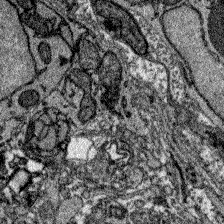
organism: Zebrafish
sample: Larval olfactory bulb